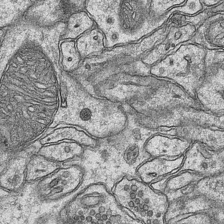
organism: Mouse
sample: CA1 Hippocampus